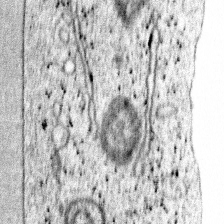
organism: Human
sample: HeLa cells